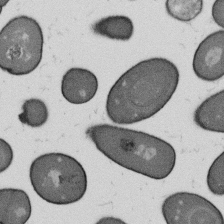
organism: B. subtilis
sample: Bacterial spore